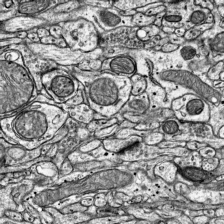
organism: Mouse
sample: Visual Cortex